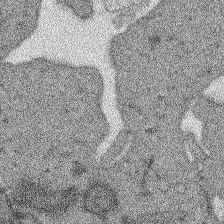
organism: Human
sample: HeLa cells